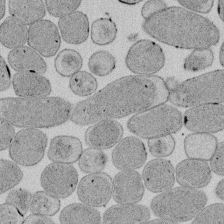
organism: E. coli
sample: Bacterial nucleoid